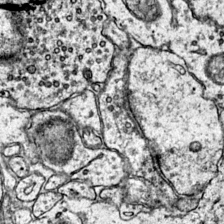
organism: Mouse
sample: Primary visual cortex